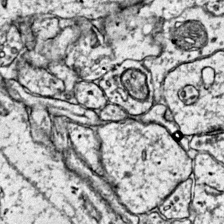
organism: Mouse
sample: Primary visual cortex